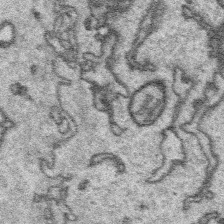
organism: Platynereis dumerilii